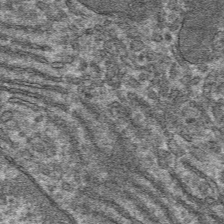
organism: Mouse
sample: Mouse hepatocytes